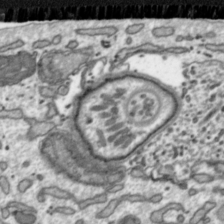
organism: Toxoplasma gondii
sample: Parasites in a vacuole inside a host cell